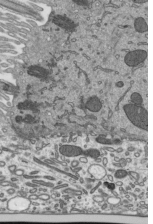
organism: Mouse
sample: Mouse epididymis efferent ductule cilia